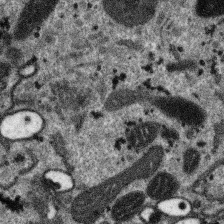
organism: Human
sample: Lung epithelial cells infected with SARS-CoV-2